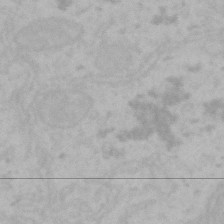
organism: Mouse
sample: Choroid plexus